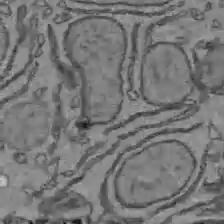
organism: C57BL Mouse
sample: Liver